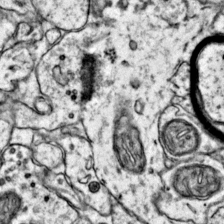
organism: Mouse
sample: Primary visual cortex